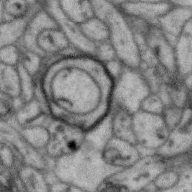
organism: Zebra finch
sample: Brain